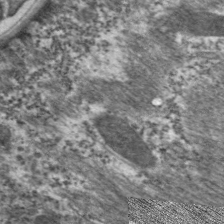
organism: C. elegans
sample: Pharynx